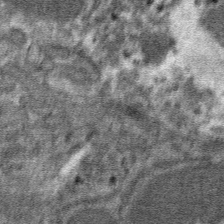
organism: Mouse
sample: Mouse hepatocytes